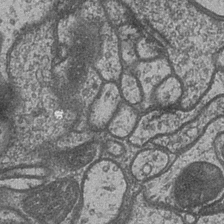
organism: Drosophila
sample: Optic medulla